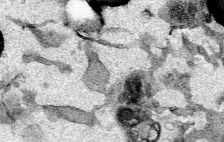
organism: Mouse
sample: Cancer cell death in ED-1 cells